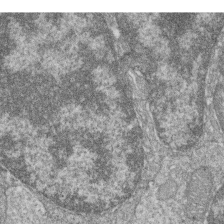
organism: Zebrafish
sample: Cilia; retinal pigment epithelium